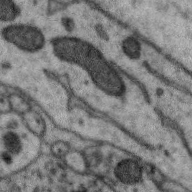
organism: Zebra finch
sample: Brain